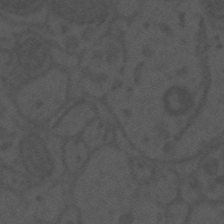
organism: Mouse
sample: Suprachiasmatic nucleus